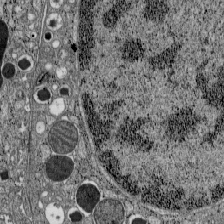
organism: C57BL Mouse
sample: Pancreatic islet